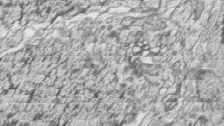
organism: Zebrafish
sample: synaptic ribbons in rod cells and cone cells